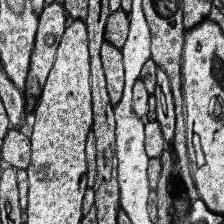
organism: Human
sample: Temporal Lobe